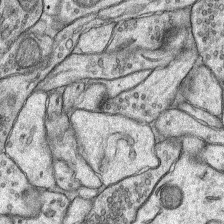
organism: Rat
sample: Hippocampus